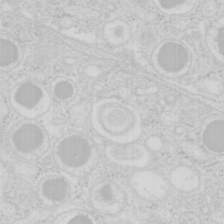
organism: Mouse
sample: Pancreas